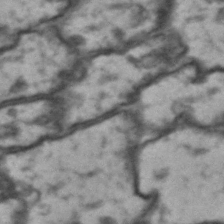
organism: Drosophila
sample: Brain